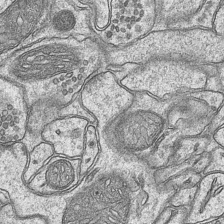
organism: Mouse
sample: CA1 Hippocampus